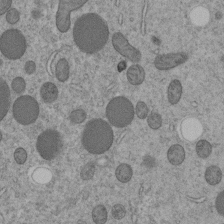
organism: C. elegans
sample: C. elegans embryo early stage